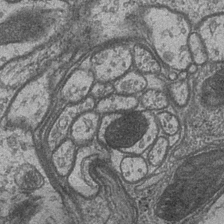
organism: Drosophila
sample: Optic medulla